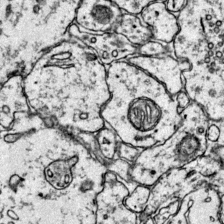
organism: Mouse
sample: Primary visual cortex